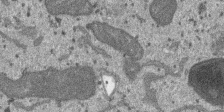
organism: Human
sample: Lung epithelial cells infected with SARS-CoV-2